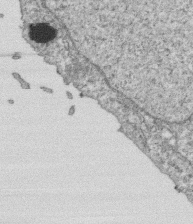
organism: Human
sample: HeLa cell HIV synapse